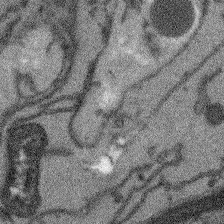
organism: Arabidopsis thaliana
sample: Root tip